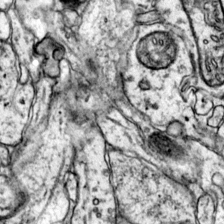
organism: Mouse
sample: Primary visual cortex